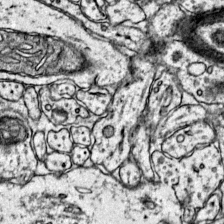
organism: Mouse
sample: Primary visual cortex